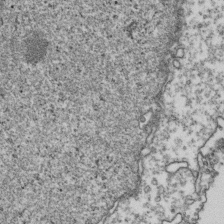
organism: Human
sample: Activated Jurkat CD4+ T cells